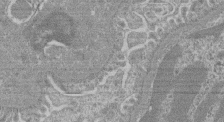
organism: Mouse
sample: Glomerulus